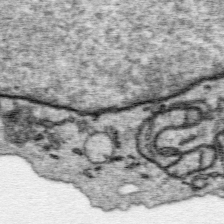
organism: Human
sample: HeLa cells